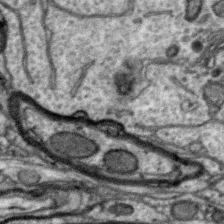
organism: Zebra finch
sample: Brain